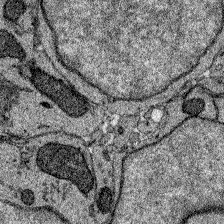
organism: Zebrafish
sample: Larval olfactory bulb